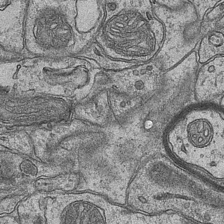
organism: Mouse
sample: CA1 Hippocampus